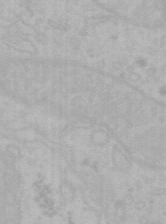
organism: Mouse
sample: Choroid plexus